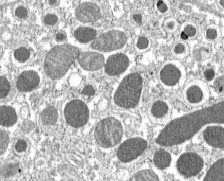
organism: C57BL Mouse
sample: Pancreatic islet